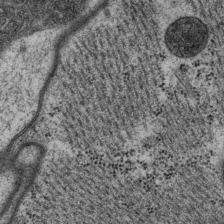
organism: P. pacificus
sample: Pharynx